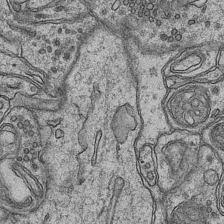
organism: Mouse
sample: CA1 Hippocampus